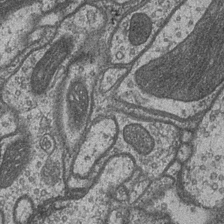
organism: Drosophila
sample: Optic medulla